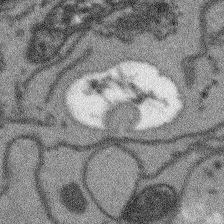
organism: Arabidopsis thaliana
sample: Root tip